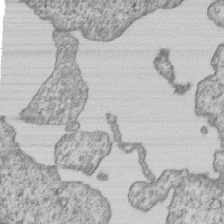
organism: Human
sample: MDA-MB-231 cells